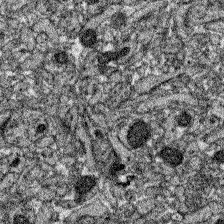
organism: Zebrafish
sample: Larval olfactory bulb